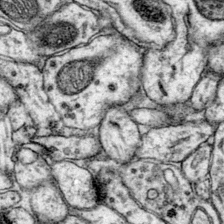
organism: Mouse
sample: Primary visual cortex